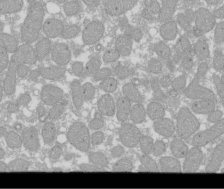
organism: Xenopus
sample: Cilia; centrioles in frog embryo cells